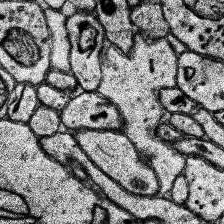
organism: Human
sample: Temporal Lobe